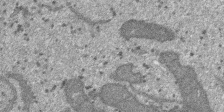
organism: Human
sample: Lung epithelial cells infected with SARS-CoV-2